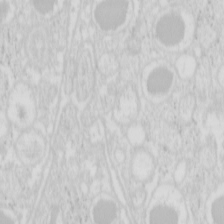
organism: Mouse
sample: Pancreas